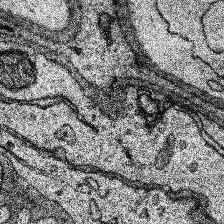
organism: Human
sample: Temporal Lobe